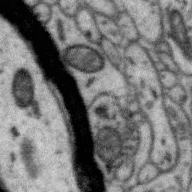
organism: Zebra finch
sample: Brain